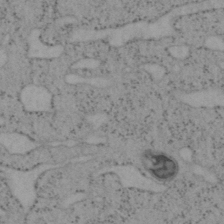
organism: Mouse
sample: OT-I killer T cells with ID8 ovarian cancer cells